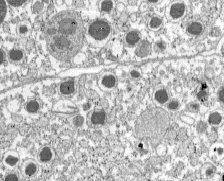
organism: C57BL Mouse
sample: Pancreatic islet